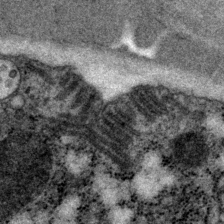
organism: P. pacificus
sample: Pharynx